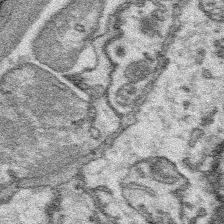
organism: Platynereis dumerilii